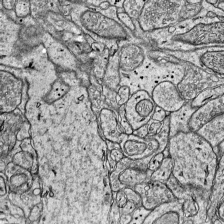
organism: Mouse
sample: Visual Cortex